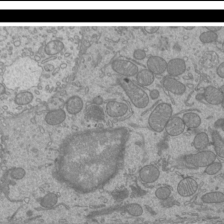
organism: Mouse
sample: Cilia; mouse epididymis